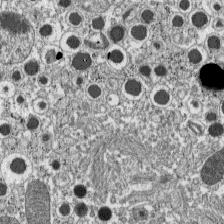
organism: C57BL Mouse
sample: Pancreatic islet